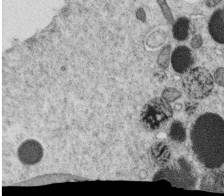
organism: C. elegans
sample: C. elegans oocyte; sperm cells